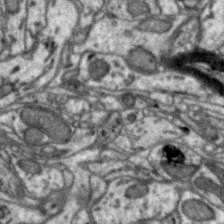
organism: Zebra finch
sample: Brain